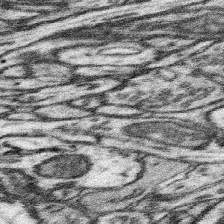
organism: Mouse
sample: Somatosensory cortex neuropil